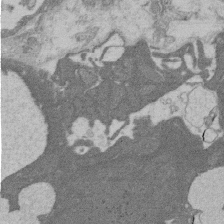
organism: Rat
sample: Salivary granule